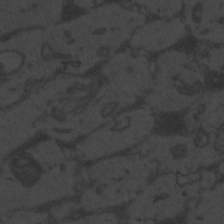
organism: Zebrafish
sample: Macrophage infected with Toxoplasma gondii